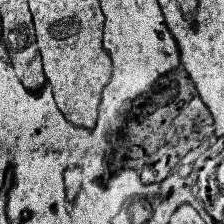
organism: Human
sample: Temporal Lobe